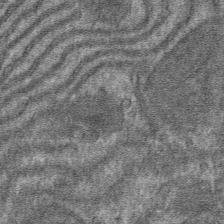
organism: Mouse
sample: Mouse hepatocytes